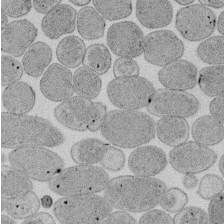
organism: E. coli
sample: Bacterial nucleoid